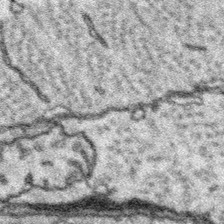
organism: Platynereis dumerilii